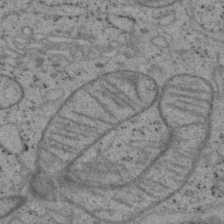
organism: Human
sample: HeLa cells